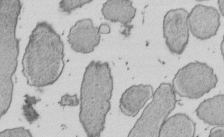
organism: E. coli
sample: Bacterial nucleoid